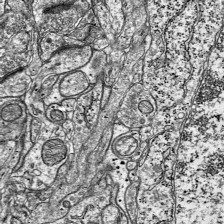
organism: Mouse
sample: Visual Cortex